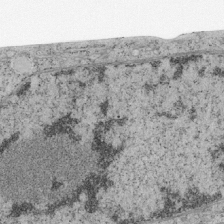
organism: Human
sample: HeLa cells